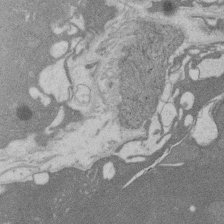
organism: Rat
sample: Salivary granule